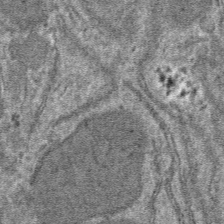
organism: Mouse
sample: Mouse hepatocytes